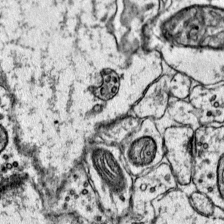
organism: Mouse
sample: Primary visual cortex